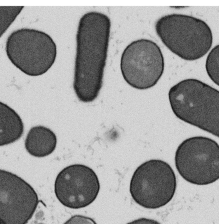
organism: B. subtilis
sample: Bacterial spore